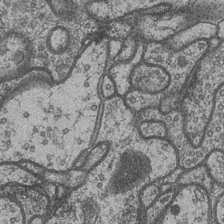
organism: Drosophila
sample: Optic medulla